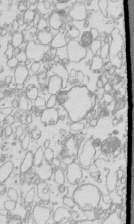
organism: Mouse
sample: Macrophages